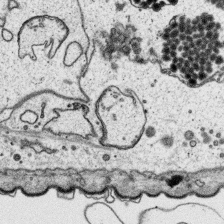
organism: Platynereis dumerilii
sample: Parapodia